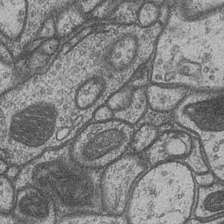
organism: Drosophila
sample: Optic medulla